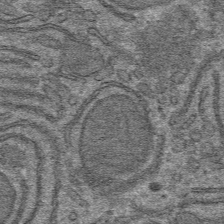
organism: Mouse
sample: Mouse hepatocytes